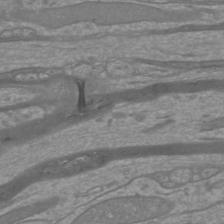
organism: Mouse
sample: Cortical neurons